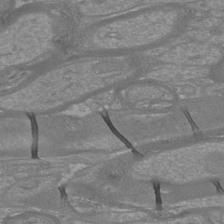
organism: Mouse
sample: Cortical neurons